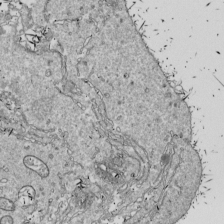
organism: Drosophila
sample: Cell division; meiosis; drosophila spermatocytes